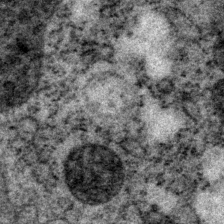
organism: P. pacificus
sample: Pharynx